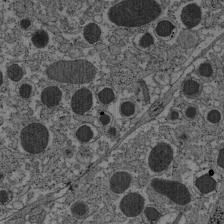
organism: C57BL Mouse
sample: Pancreatic islet